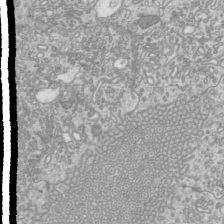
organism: Mouse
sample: Cilia; mouse epididymis